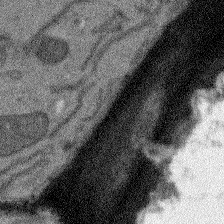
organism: Arabidopsis thaliana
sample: Root tip